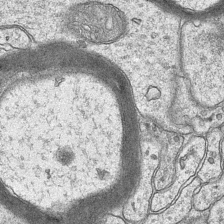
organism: Mouse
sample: CA1 Hippocampus